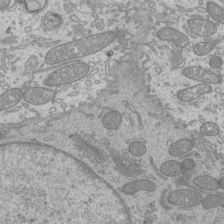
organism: Mouse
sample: Cilia; mouse epididymis